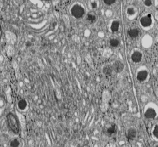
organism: C57BL Mouse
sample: Pancreatic islet